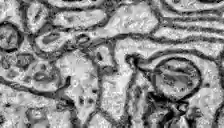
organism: Zebrafish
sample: Brain